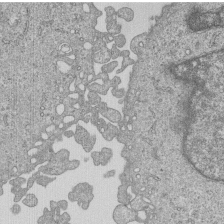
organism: Human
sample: MDA-MB-231 cells